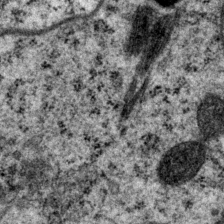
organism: P. pacificus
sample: Pharynx